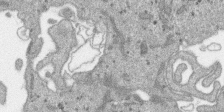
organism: Human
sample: Lung epithelial cells infected with SARS-CoV-2